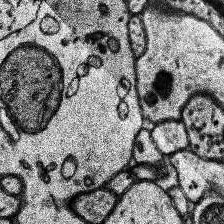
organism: Human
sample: Temporal Lobe